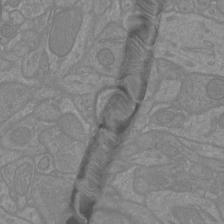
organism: Mouse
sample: Cortical neurons